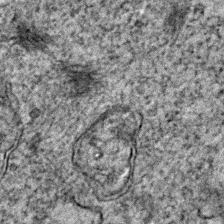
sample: Trachea